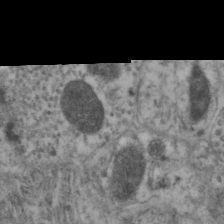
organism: Mouse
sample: Neocortex